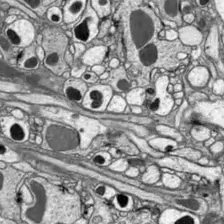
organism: Drosophila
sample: Optic lobe